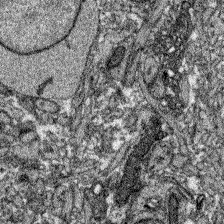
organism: Zebrafish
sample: Larval olfactory bulb